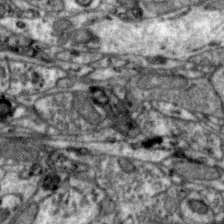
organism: Zebra finch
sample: Brain